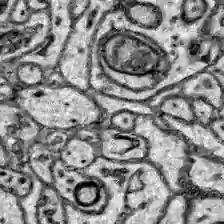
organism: Zebrafish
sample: Brain